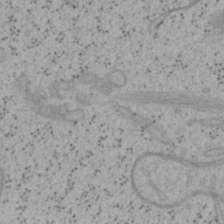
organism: Human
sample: HeLa cells